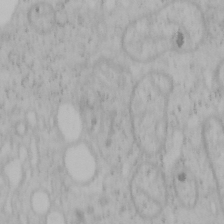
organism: Mouse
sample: OT-I killer T cells with ID8 ovarian cancer cells